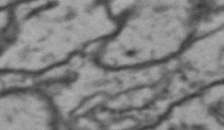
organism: Drosophila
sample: Brain